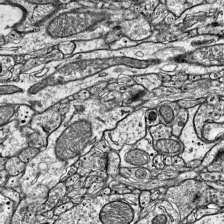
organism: Mouse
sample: Visual Cortex